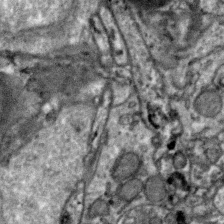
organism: Zebra finch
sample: Brain